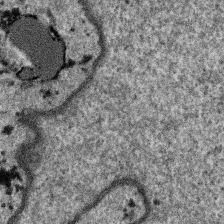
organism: Human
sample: Lung epithelial cells infected with SARS-CoV-2